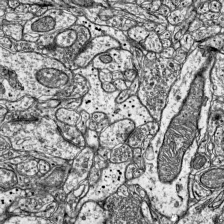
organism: Mouse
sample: Visual Cortex